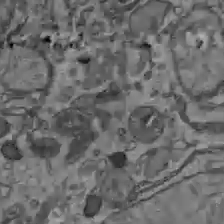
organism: C57BL Mouse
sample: Liver